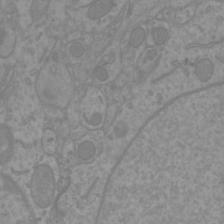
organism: Mouse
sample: Cortical neurons